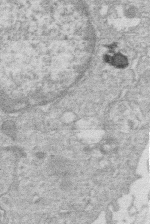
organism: Human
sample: Macrophage cells